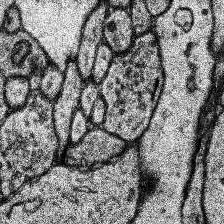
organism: Human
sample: Temporal Lobe